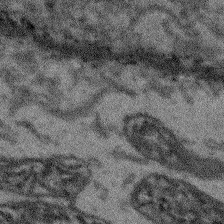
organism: Arabidopsis thaliana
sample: Root tip